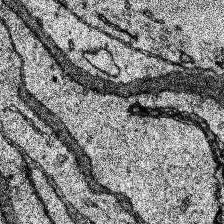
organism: Human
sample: Temporal Lobe